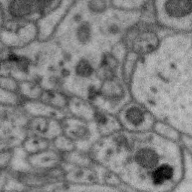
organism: Zebra finch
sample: Brain